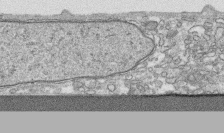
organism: Human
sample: CRL-1474